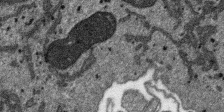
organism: Human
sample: Lung epithelial cells infected with SARS-CoV-2